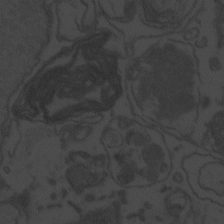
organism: Zebrafish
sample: Macrophage infected with Toxoplasma gondii